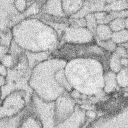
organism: Rabbit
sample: Retina